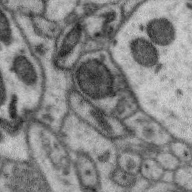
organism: Zebra finch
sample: Brain